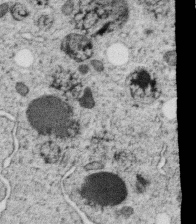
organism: C. elegans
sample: C. elegans oocyte; sperm cells